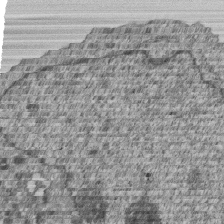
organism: Human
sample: MDA-MB-231 cells